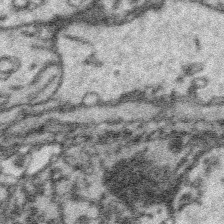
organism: Platynereis dumerilii